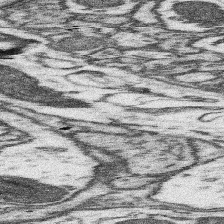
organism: Mouse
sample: Somatosensory cortex neuropil